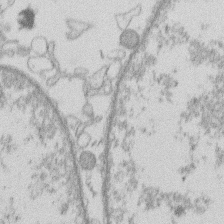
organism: Human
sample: Macrophage cells